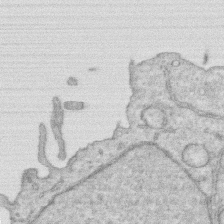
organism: Human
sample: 1205lu cells